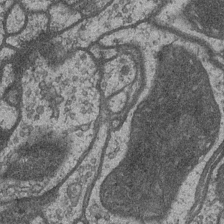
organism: Drosophila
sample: Optic medulla